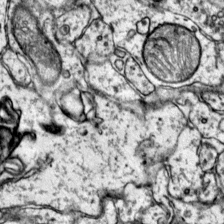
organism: Mouse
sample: Primary visual cortex